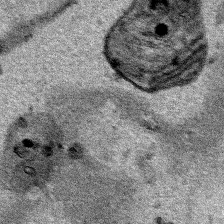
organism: Human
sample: Mitochondria in HCT116 cells